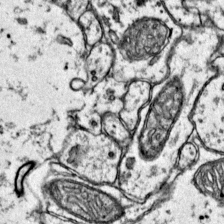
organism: Mouse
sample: Primary visual cortex